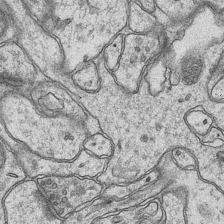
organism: Mouse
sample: CA1 Hippocampus